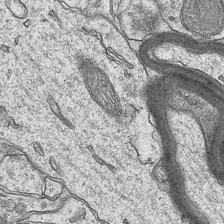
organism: Mouse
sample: CA1 Hippocampus